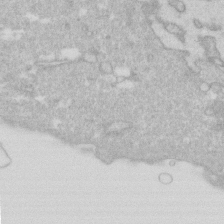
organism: Human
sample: Fibroblast cells